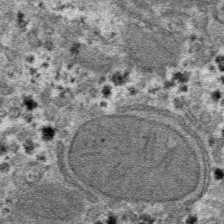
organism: Mouse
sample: Mouse hepatocytes